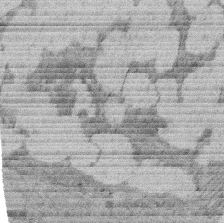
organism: Rat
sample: Salivary granule